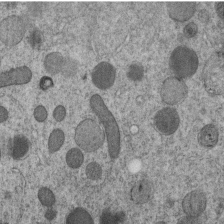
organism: C. elegans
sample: C. elegans embryo early stage